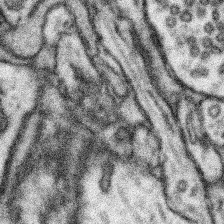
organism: Mouse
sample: Somatosensory cortex neuropil